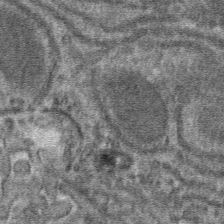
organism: Mouse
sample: Mouse hepatocytes